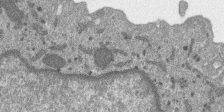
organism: Human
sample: Lung epithelial cells infected with SARS-CoV-2